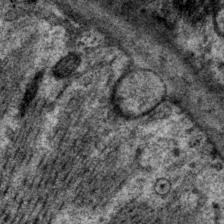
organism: P. pacificus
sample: Pharynx